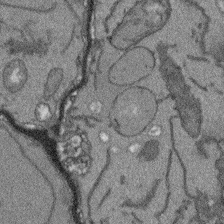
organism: Arabidopsis thaliana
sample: Root tip